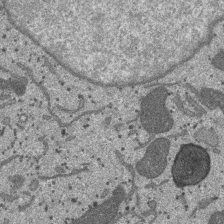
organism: Human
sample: Lung epithelial cells infected with SARS-CoV-2